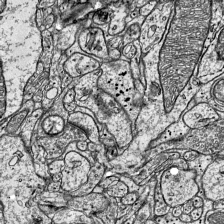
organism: Mouse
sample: Visual Cortex